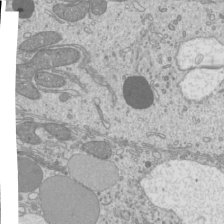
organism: Mouse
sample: Cilia; mouse epididymis